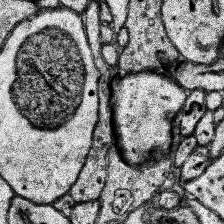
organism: Human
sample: Temporal Lobe